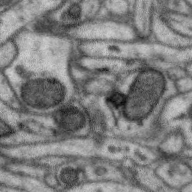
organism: Zebra finch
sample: Brain